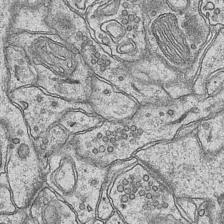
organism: Mouse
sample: CA1 Hippocampus